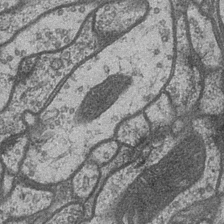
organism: Drosophila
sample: Optic medulla